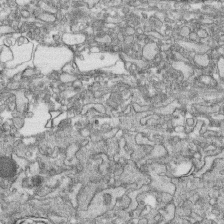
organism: Human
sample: CRL-1474